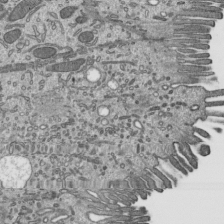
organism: Mouse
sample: Mouse epididymis efferent ductule cilia